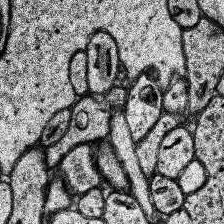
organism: Human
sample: Temporal Lobe